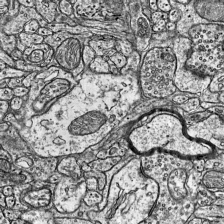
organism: Mouse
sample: Visual Cortex